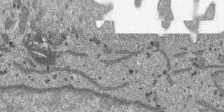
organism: Human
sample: Lung epithelial cells infected with SARS-CoV-2